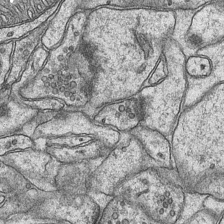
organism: Mouse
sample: CA1 Hippocampus